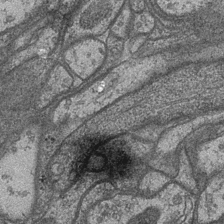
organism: Drosophila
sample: Optic medulla